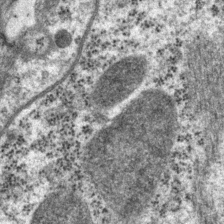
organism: P. pacificus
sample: Pharynx